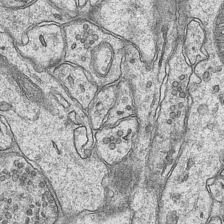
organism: Mouse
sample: CA1 Hippocampus